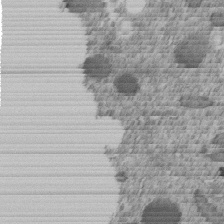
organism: C. elegans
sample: C. elegans embryo early stage